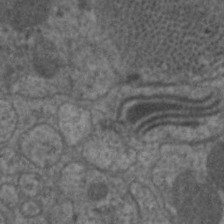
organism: C. elegans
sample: Pharynx